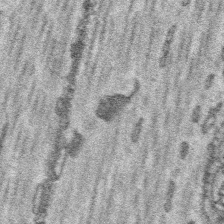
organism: Platynereis dumerilii